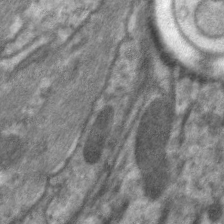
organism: C. elegans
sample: Pharynx